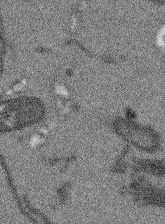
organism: Arabidopsis thaliana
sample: Root tip